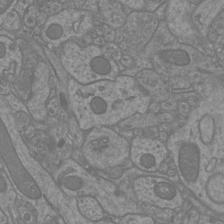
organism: Mouse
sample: Cortical neurons